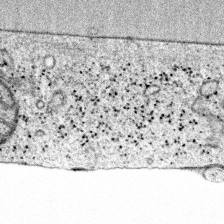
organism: Human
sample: HeLa cells